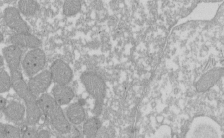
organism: Xenopus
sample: Cilia; centrioles in frog embryo cells